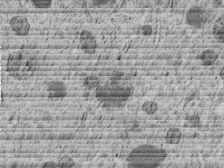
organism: C. elegans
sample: C. elegans embryo early stage